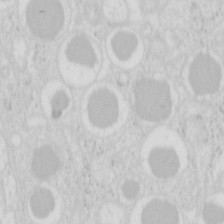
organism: Mouse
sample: Pancreas